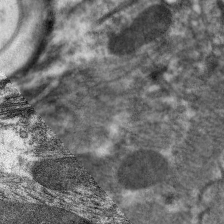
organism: C. elegans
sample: Pharynx